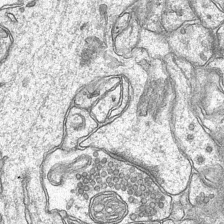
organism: Mouse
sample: CA1 Hippocampus